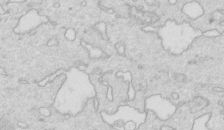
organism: Mouse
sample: Multiciliated cells